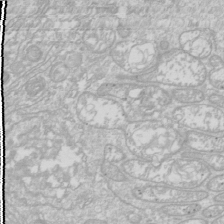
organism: Drosophila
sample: Cell division; meiosis; drosophila spermatocytes